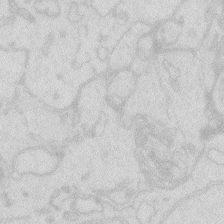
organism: Zebrafish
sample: Macrophage